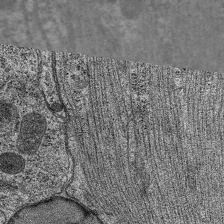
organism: C. elegans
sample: Pharynx